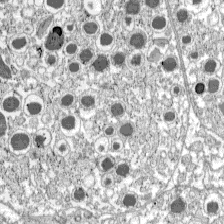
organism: C57BL Mouse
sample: Pancreatic islet